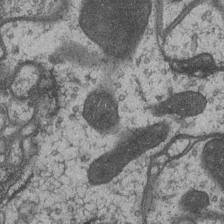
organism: Drosophila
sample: Optic medulla